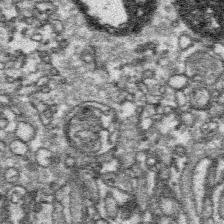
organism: Platynereis dumerilii